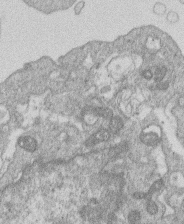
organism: Human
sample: Macrophage cells